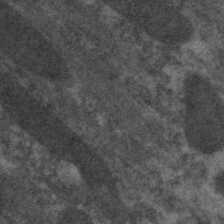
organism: C. elegans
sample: Pharynx